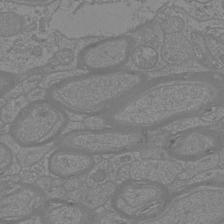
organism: Mouse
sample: Cortical neurons